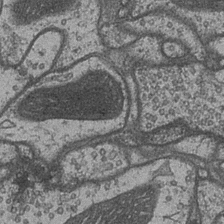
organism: Drosophila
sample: Optic medulla